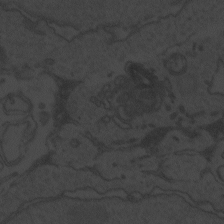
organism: Zebrafish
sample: Macrophage infected with Toxoplasma gondii